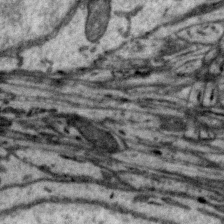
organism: Zebra finch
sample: Brain